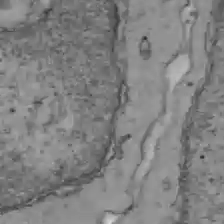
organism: C57BL Mouse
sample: Liver